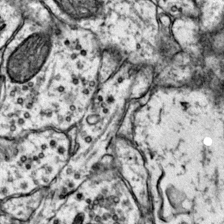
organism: Mouse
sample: Primary visual cortex